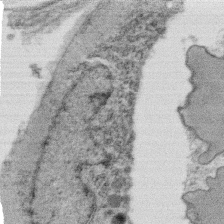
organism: C. elegans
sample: C. elegans oocyte; sperm cells